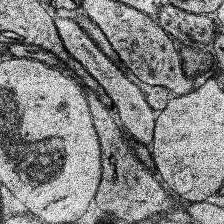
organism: Human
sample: Temporal Lobe